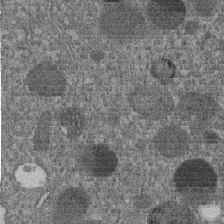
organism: C. elegans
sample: C. elegans embryo early stage